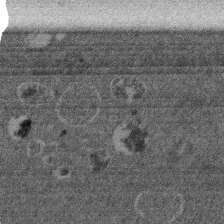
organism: Mouse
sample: Dividing mouse embryo 1 cell stage